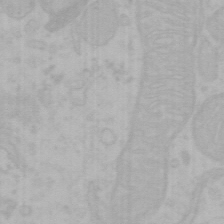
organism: Mouse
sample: Choroid plexus